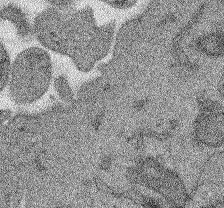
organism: Human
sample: HeLa cells